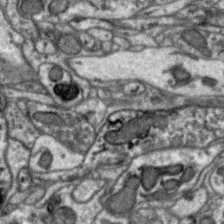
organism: Zebra finch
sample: Brain